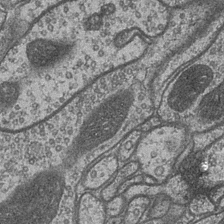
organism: Drosophila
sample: Optic medulla